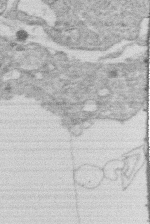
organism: Human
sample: Macrophage cells